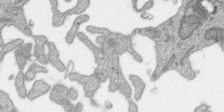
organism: Human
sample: Lung epithelial cells infected with SARS-CoV-2